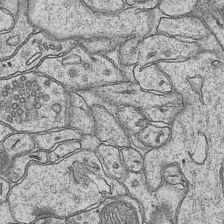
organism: Mouse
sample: CA1 Hippocampus